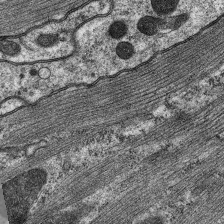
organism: C. elegans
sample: Pharynx